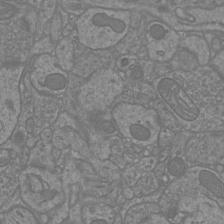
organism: Mouse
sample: Cortical neurons